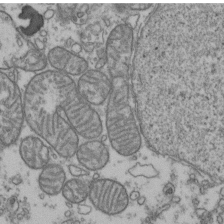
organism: Human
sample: Activated Jurkat CD4+ T cells